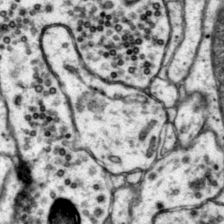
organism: Mouse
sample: Primary visual cortex